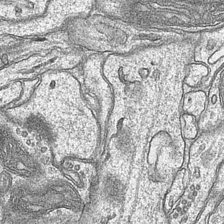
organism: Mouse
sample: CA1 Hippocampus